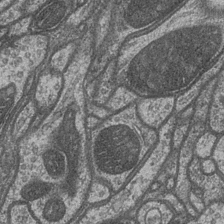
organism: Drosophila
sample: Optic medulla